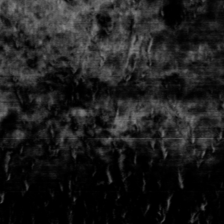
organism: Toxoplasma gondii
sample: Parasites in a vacuole inside a host cell